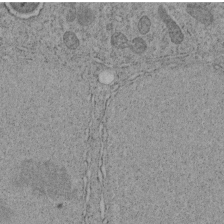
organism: C. elegans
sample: C. elegans embryo early stage